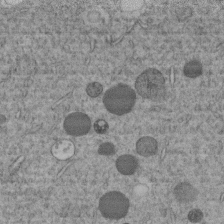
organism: C. elegans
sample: C. elegans embryo early stage